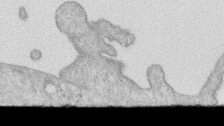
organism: Human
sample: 1205lu cells